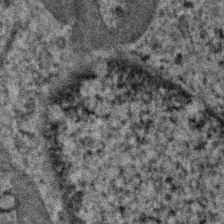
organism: Human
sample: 1205lu cells